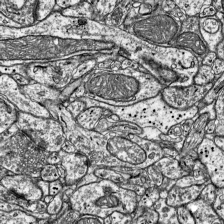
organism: Mouse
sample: Visual Cortex